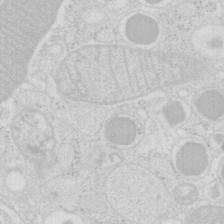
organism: Mouse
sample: Pancreas